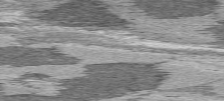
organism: C57BL Mouse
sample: Heart